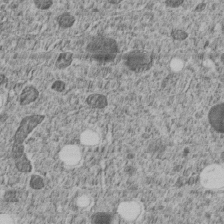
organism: C. elegans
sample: C. elegans embryo early stage